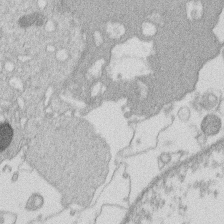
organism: Human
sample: Macrophage cells